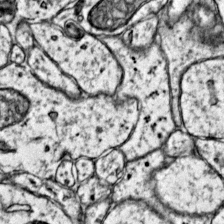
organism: Mouse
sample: Primary visual cortex